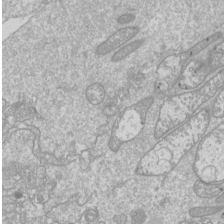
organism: Drosophila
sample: Cell division; meiosis; drosophila spermatocytes